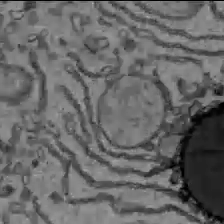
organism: C57BL Mouse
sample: Liver